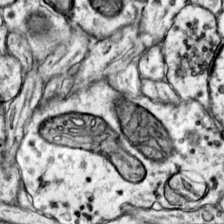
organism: Mouse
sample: Primary visual cortex